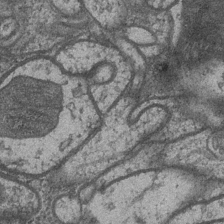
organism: Drosophila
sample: Optic medulla